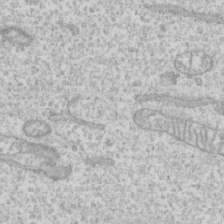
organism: Human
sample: CRL-1474